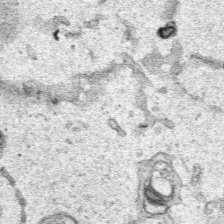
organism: Human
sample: Mitochondria in HCT116 cells